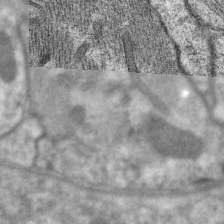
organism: C. elegans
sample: Pharynx